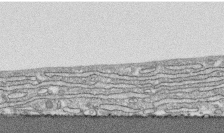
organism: Human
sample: CRL-1474